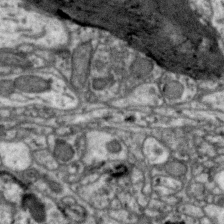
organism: Zebra finch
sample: Brain